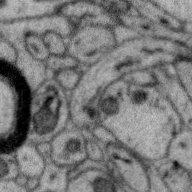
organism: Zebra finch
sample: Brain